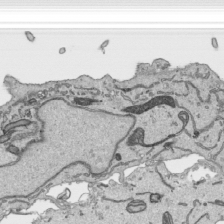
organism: Human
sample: Mitochondria in HCT116 cells